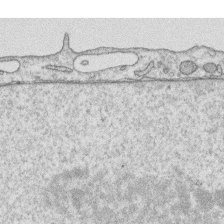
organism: Human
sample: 1205lu cells